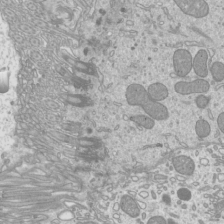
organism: Mouse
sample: Cilia; mouse epididymis